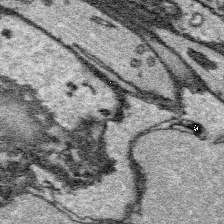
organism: Platynereis dumerilii